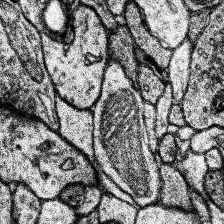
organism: Human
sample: Temporal Lobe